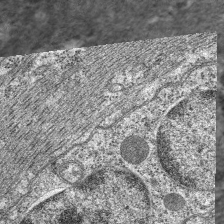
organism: C. elegans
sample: Pharynx